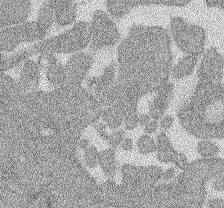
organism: Human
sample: HeLa cells